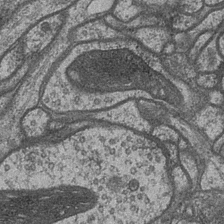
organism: Drosophila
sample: Optic medulla